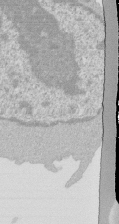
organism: Mouse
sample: Activated Pmel transgenic CD8+ T Cells